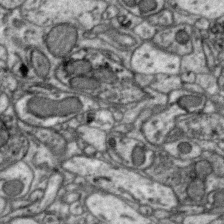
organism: Zebra finch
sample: Brain